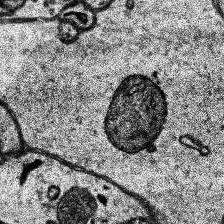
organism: Human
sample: Temporal Lobe